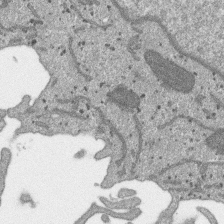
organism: Human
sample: Lung epithelial cells infected with SARS-CoV-2